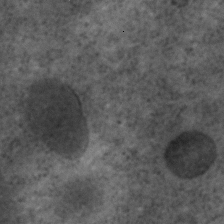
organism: C. elegans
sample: C. elegans embryo